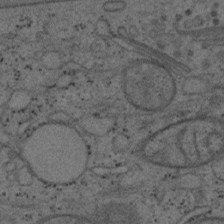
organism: Human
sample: HeLa cells